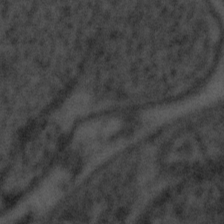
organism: Tuwongella immobilis